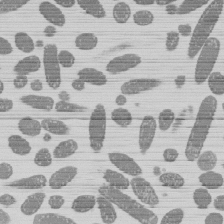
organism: E. coli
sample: Bacterial nucleoid